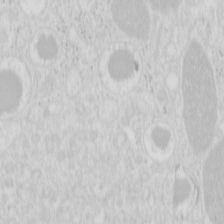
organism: Mouse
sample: Pancreas